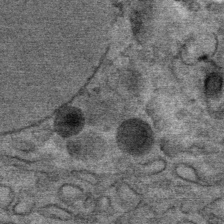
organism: Mouse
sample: Mouse Salivary gland